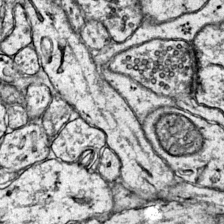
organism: Mouse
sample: Primary visual cortex